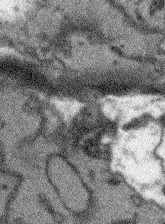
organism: Arabidopsis thaliana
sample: Root tip